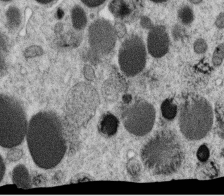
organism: C. elegans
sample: C. elegans oocyte; sperm cells